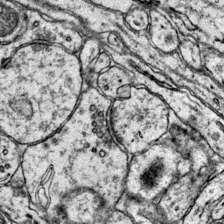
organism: Mouse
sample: Primary visual cortex